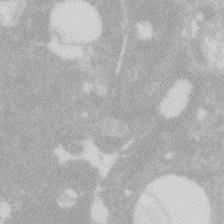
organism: Zebrafish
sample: Macrophage